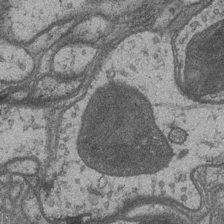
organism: Drosophila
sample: Optic medulla